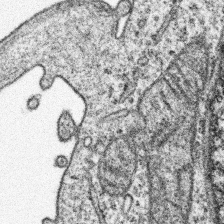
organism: Human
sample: HeLa cells